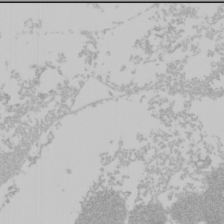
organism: Mouse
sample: Cancer cell death in ED-1 cells